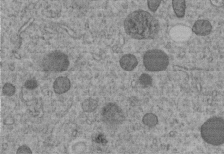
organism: C. elegans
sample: C. elegans embryo early stage